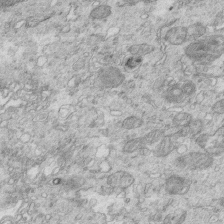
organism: Mouse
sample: Multiciliated cells